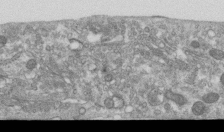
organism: Human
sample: Centriole in RPE cells